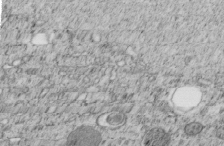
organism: C. elegans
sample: C. elegans embryo early stage